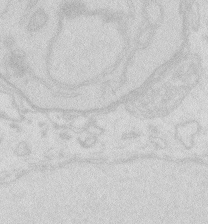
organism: Zebrafish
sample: Macrophage